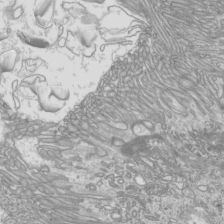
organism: Mouse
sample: Cilia; mouse epididymis